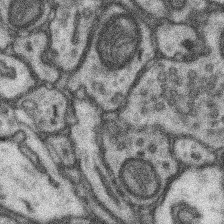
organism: Mouse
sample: Somatosensory cortex neuropil